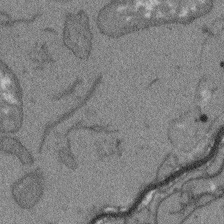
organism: Arabidopsis thaliana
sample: Root tip